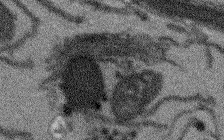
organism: Arabidopsis thaliana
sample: Root tip